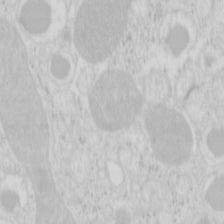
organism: Mouse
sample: Pancreas